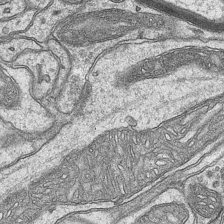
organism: Mouse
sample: CA1 Hippocampus